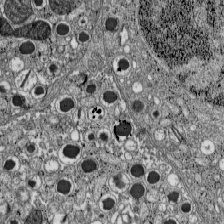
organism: C57BL Mouse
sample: Pancreatic islet